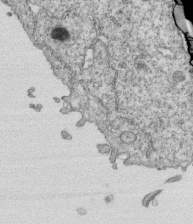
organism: Human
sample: HeLa cell HIV synapse